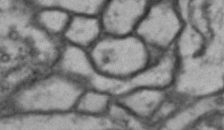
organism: Drosophila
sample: Brain